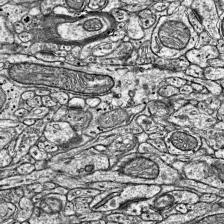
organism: Mouse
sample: Visual Cortex